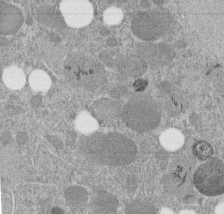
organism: C. elegans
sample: C. elegans embryo early stage